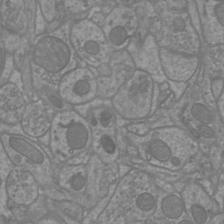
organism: Mouse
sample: Cortical neurons